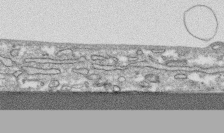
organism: Human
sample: CRL-1474